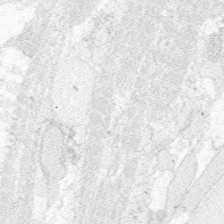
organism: Zebrafish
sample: Whole-Brain